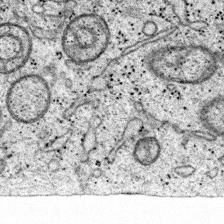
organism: Human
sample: HeLa cells